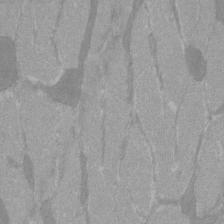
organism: C57BL Mouse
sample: Tibialis anterior muscle cell